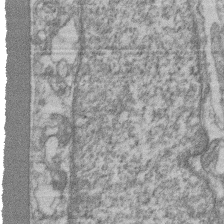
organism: Mouse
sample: T cell stromal cell synapse